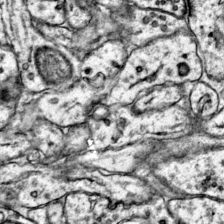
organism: Mouse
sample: Primary visual cortex